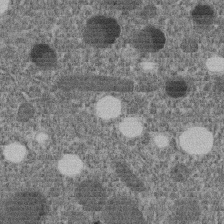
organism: C. elegans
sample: C. elegans embryo early stage